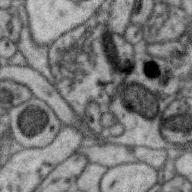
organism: Zebra finch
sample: Brain